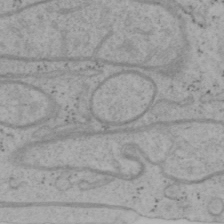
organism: Human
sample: HeLa cells